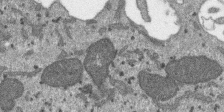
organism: Human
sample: Lung epithelial cells infected with SARS-CoV-2